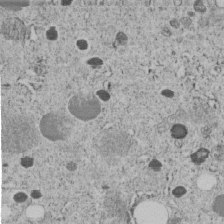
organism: C. elegans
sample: C. elegans embryo early stage